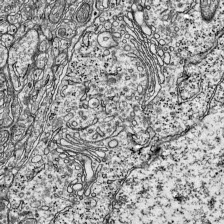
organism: Mouse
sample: Visual Cortex